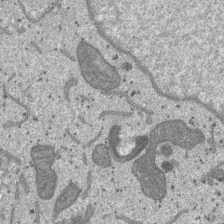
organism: Human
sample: Lung epithelial cells infected with SARS-CoV-2